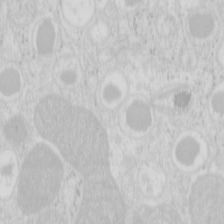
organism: Mouse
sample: Pancreas